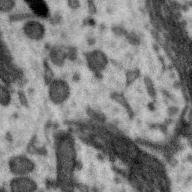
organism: Zebra finch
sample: Brain